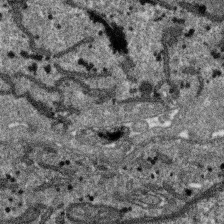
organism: Human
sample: Lung epithelial cells infected with SARS-CoV-2